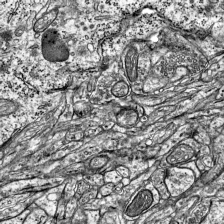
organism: Mouse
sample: Visual Cortex